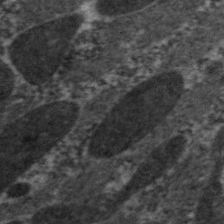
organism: C. elegans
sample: Pharynx